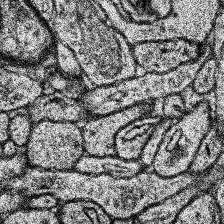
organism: Human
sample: Temporal Lobe